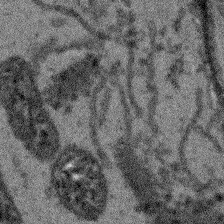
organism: Arabidopsis thaliana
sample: Root tip